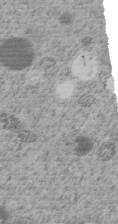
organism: C. elegans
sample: C. elegans embryo early stage